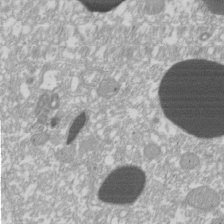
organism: Xenopus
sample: Cilia; centrioles in frog embryo cells